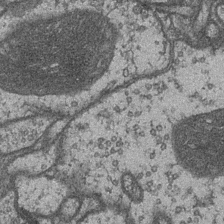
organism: Drosophila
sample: Optic medulla